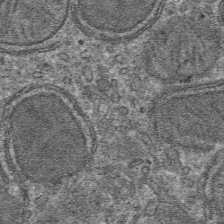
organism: Mouse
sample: Mouse hepatocytes